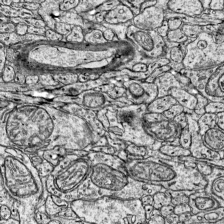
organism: Mouse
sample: Visual Cortex